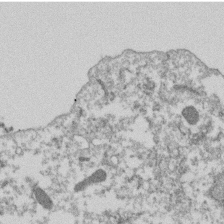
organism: Dictyostelium discoideum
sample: Dictyostelium multivesicular bodies